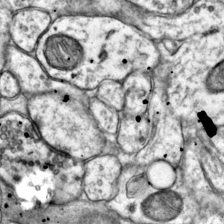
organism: Mouse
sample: Primary visual cortex